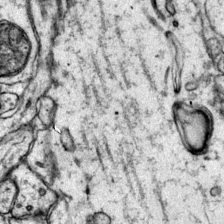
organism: Mouse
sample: Primary visual cortex